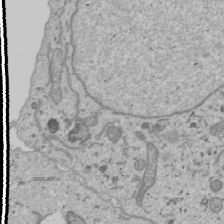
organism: Human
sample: Mitochondria in U2OS cells